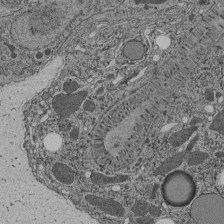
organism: C. elegans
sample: C. elegans pharynx